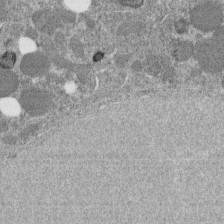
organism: C. elegans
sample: C. elegans embryo early stage